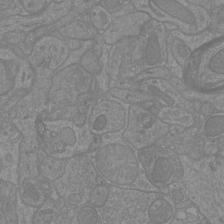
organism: Mouse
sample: Cortical neurons